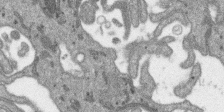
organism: Human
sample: Lung epithelial cells infected with SARS-CoV-2